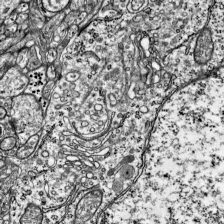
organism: Mouse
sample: Visual Cortex